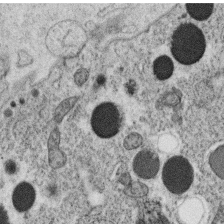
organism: C. elegans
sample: C. elegans oocyte; sperm cells